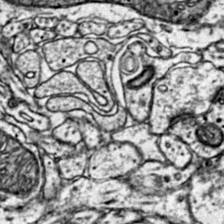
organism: Mouse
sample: Primary visual cortex